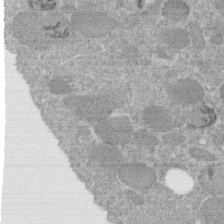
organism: C. elegans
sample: C. elegans embryo early stage